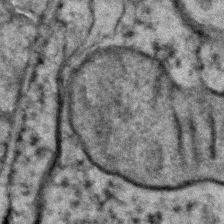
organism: Zebrafish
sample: Zebrafish embryo